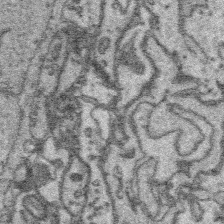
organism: Platynereis dumerilii